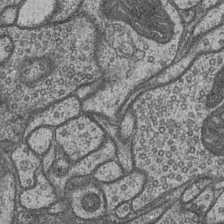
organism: Drosophila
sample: Optic medulla